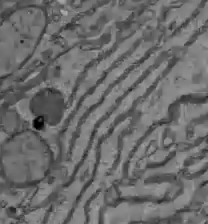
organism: C57BL Mouse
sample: Liver